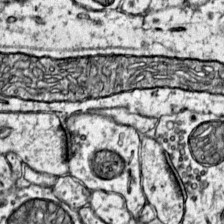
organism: Mouse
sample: Primary visual cortex